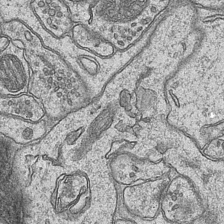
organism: Mouse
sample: CA1 Hippocampus